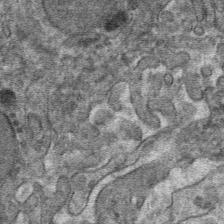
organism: Mouse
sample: Mouse hepatocytes